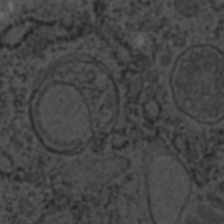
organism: C. elegans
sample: C. elegans embryo